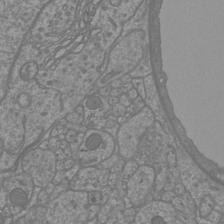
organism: Mouse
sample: Cortical neurons